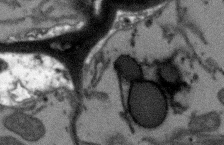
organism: Arabidopsis thaliana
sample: Root tip